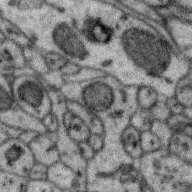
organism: Zebra finch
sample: Brain